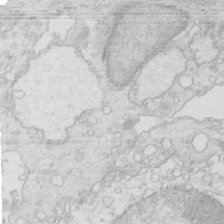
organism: Mouse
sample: Multiciliated cells